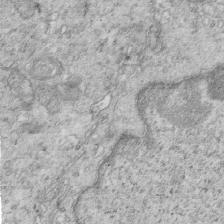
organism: Mouse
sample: Multiciliated cells